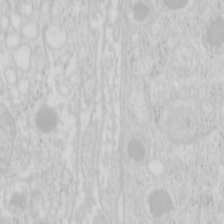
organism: Mouse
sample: Pancreas